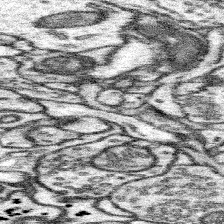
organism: Mouse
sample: Somatosensory cortex neuropil